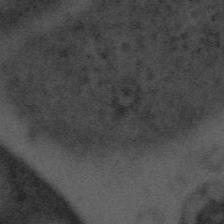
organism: Tuwongella immobilis